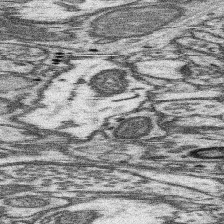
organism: Mouse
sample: Somatosensory cortex neuropil